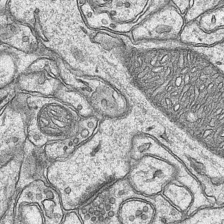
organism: Mouse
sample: CA1 Hippocampus